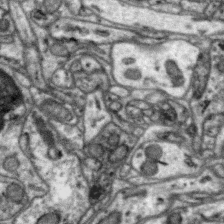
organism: Zebra finch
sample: Brain